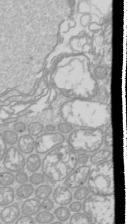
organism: Drosophila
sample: Cell division; meiosis; drosophila spermatocytes